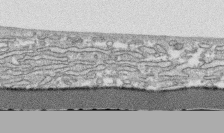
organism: Human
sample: CRL-1474